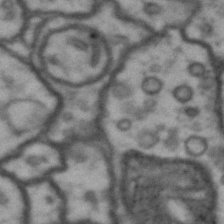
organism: Drosophila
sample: Brain